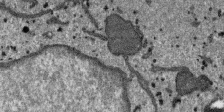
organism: Human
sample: Lung epithelial cells, uninfected (mock) control